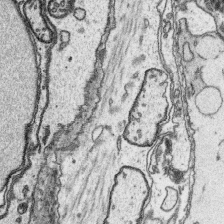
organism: Platynereis dumerilii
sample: Parapodia